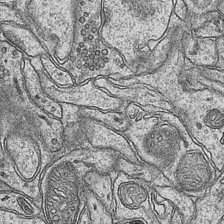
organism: Mouse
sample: CA1 Hippocampus